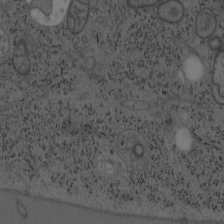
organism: Mouse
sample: OT-I killer T cells with ID8 ovarian cancer cells